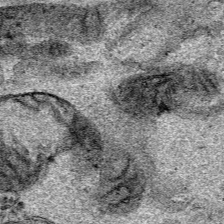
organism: Human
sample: Mitochondria in HCT116 cells